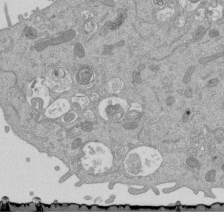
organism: Mouse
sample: ED-1 cell nuclei; centrioles